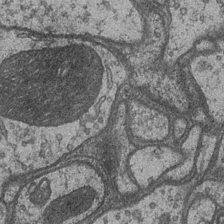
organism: Drosophila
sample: Optic medulla